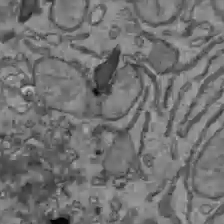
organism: C57BL Mouse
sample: Liver